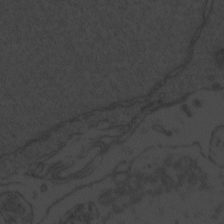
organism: Zebrafish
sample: Macrophage infected with Toxoplasma gondii